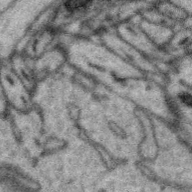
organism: Zebra finch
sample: Brain